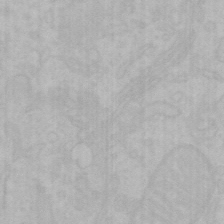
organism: Mouse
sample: Choroid plexus